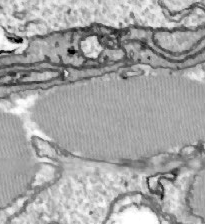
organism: Zebrafish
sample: Actinotrichia fibers